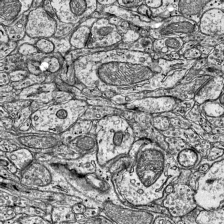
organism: Mouse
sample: Visual Cortex